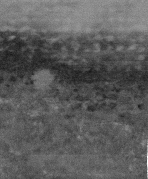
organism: Human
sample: Fibroblast cells